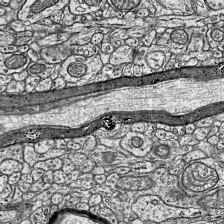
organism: Mouse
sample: Visual Cortex